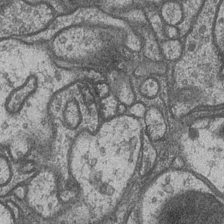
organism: Drosophila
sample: Optic medulla